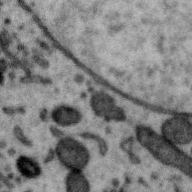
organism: Zebra finch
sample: Brain